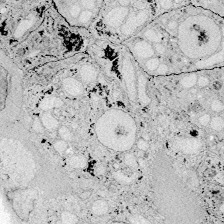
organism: Zebrafish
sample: Whole-Brain